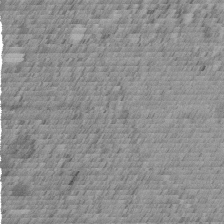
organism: C. elegans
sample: C. elegans embryo early stage